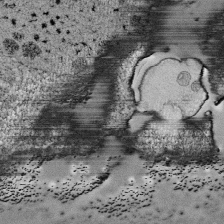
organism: Tetrahymena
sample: Cilia in tetrahymena